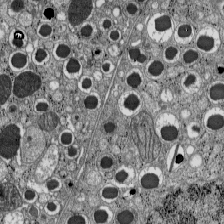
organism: C57BL Mouse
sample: Pancreatic islet